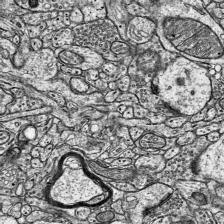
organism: Mouse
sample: Visual Cortex